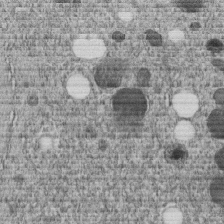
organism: C. elegans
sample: C. elegans embryo early stage